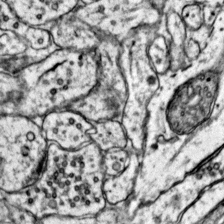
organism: Mouse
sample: Primary visual cortex